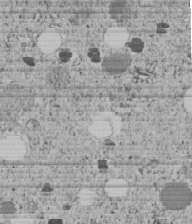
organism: C. elegans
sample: C. elegans embryo early stage